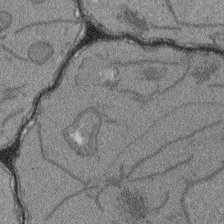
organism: Arabidopsis thaliana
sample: Root tip